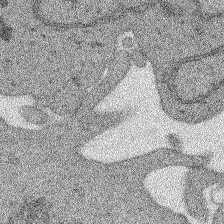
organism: Human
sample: HeLa cells